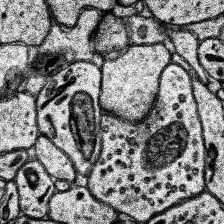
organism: Human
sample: Temporal Lobe